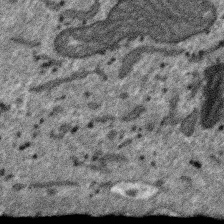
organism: Human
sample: Lung epithelial cells infected with SARS-CoV-2